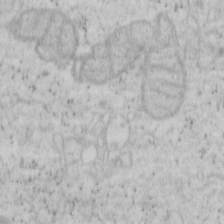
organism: Human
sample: HeLa cells